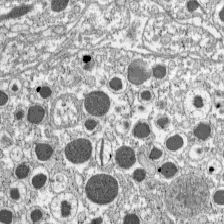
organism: C57BL Mouse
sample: Pancreatic islet